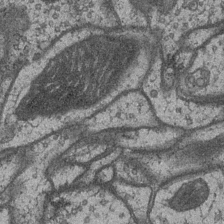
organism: Drosophila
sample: Optic medulla